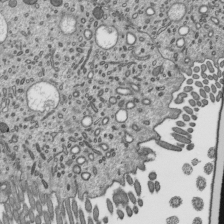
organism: Mouse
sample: Mouse epididymis efferent ductule cilia